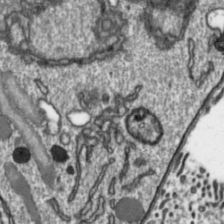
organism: Toxoplasma gondii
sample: Parasites in a vacuole inside a host cell